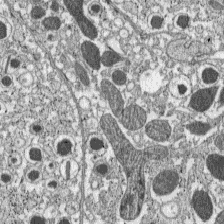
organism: C57BL Mouse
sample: Pancreatic islet